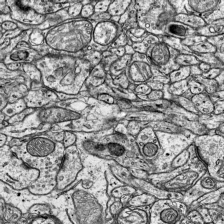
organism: Mouse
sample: Visual Cortex